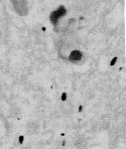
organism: Mouse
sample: T cell stromal cell synapse